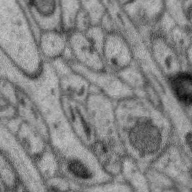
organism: Zebra finch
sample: Brain